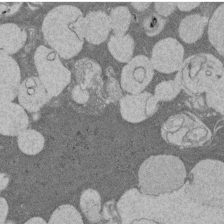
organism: Rat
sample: Salivary granule